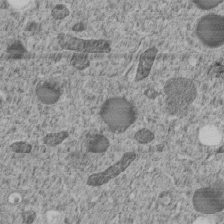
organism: C. elegans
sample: C. elegans embryo early stage